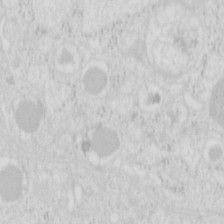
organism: Mouse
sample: Pancreas